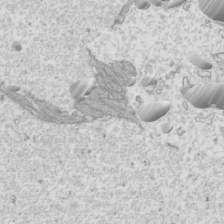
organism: Mouse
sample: Cilia; mouse epididymis